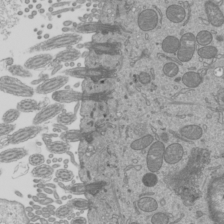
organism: Mouse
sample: Cilia; mouse epididymis